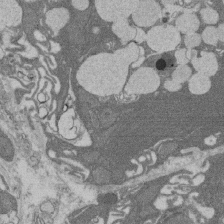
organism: Rat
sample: Salivary granule